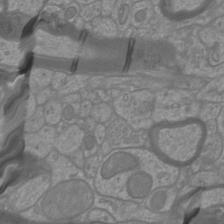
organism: Mouse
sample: Cortical neurons